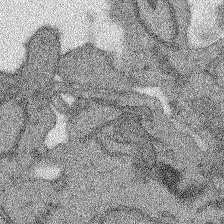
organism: Human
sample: HeLa cells